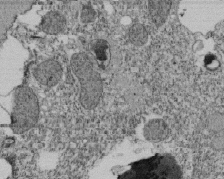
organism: Tetrahymena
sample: Cilia in tetrahymena